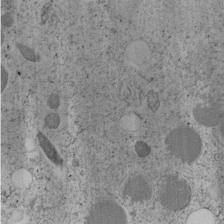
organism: C. elegans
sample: C. elegans embryo early stage